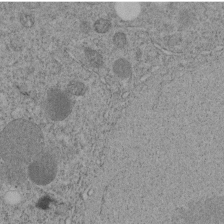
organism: C. elegans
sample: C. elegans embryo early stage